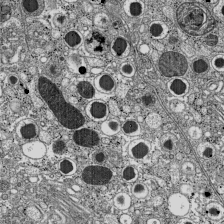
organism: C57BL Mouse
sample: Pancreatic islet